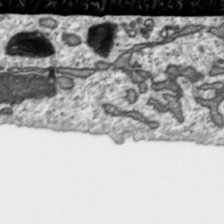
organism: Toxoplasma gondii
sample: Parasites in a vacuole inside a host cell